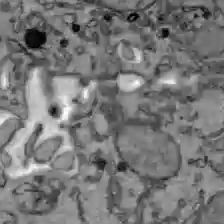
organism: C57BL Mouse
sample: Liver